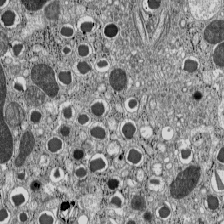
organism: C57BL Mouse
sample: Pancreatic islet